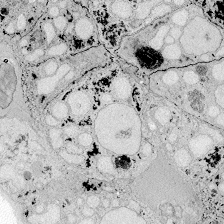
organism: Zebrafish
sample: Whole-Brain